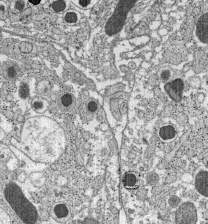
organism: C57BL Mouse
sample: Pancreatic islet